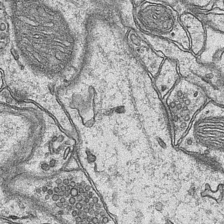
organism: Mouse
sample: CA1 Hippocampus